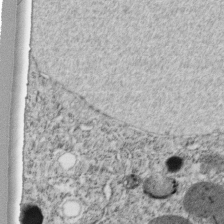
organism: C. elegans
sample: C. elegans embryo early stage